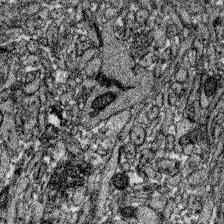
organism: Zebrafish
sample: Larval olfactory bulb